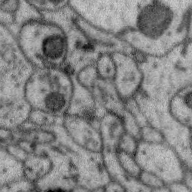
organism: Zebra finch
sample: Brain